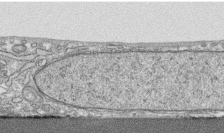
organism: Human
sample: CRL-1474